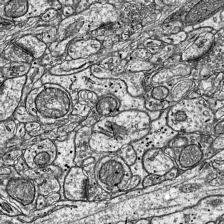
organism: Mouse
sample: Visual Cortex